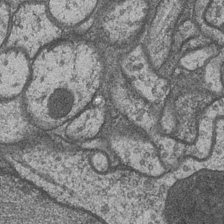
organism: Drosophila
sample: Optic medulla